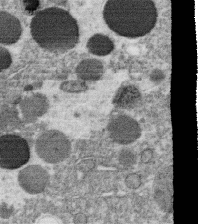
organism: C. elegans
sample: C. elegans oocyte; sperm cells